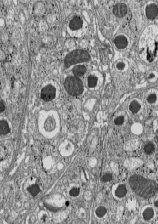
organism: C57BL Mouse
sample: Pancreatic islet